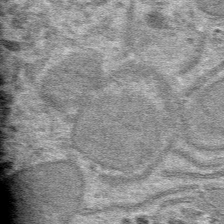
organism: Mouse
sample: Mouse hepatocytes